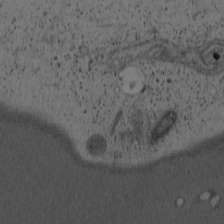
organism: African green monkey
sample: COS-7 cells